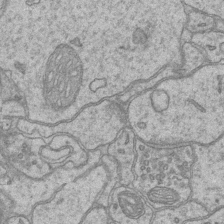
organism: Mouse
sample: CA1 Hippocampus